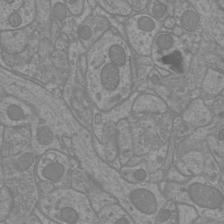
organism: Mouse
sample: Cortical neurons